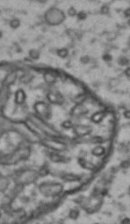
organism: Drosophila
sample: Brain